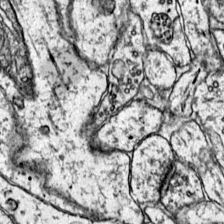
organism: Mouse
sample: Primary visual cortex